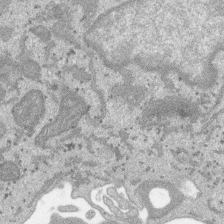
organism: Human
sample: Lung epithelial cells infected with SARS-CoV-2